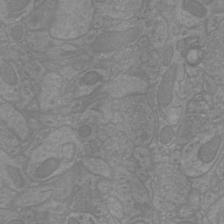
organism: Mouse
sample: Cortical neurons